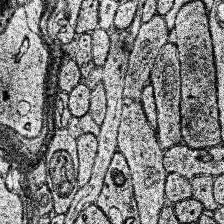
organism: Human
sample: Temporal Lobe